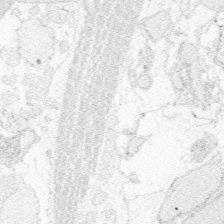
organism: Zebrafish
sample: Whole-Brain